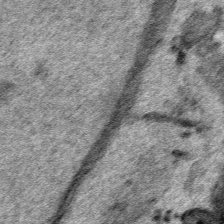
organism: Human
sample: Mitochondria in HCT116 cells